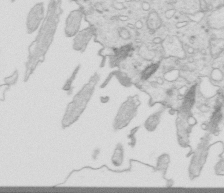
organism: Mouse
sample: Multiciliated cells